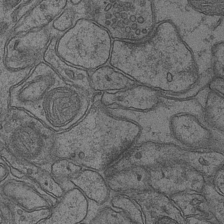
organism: Mouse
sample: CA1 Hippocampus